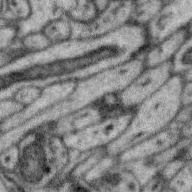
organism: Zebra finch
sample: Brain